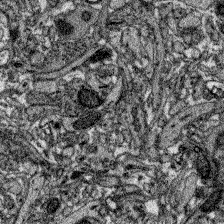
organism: Zebrafish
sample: Larval olfactory bulb